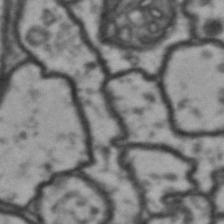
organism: Drosophila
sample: Brain